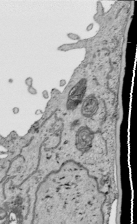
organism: Human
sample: Mitochondria in HCT116 cells